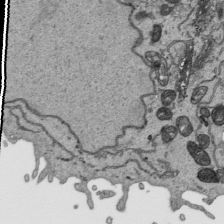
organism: Human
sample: Mitochondria in HCT116 cells